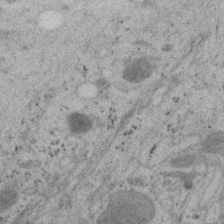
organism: Human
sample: HeLa cells